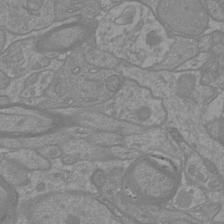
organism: Mouse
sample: Cortical neurons